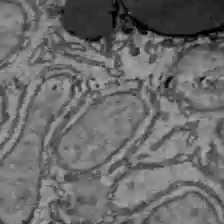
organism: C57BL Mouse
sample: Liver